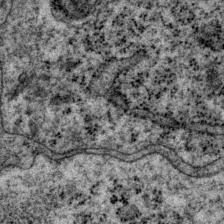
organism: P. pacificus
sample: Pharynx